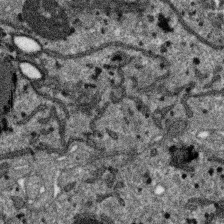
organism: Human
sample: Lung epithelial cells infected with SARS-CoV-2